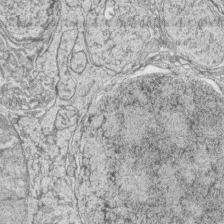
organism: Zebrafish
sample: synaptic ribbons in rod cells and cone cells